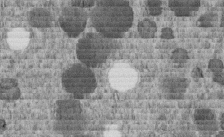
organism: C. elegans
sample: C. elegans embryo early stage